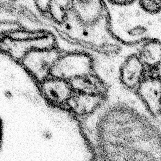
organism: Mouse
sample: Somatosensory cortex neuropil